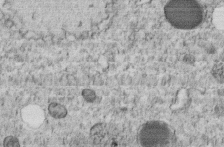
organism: C. elegans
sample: C. elegans embryo early stage